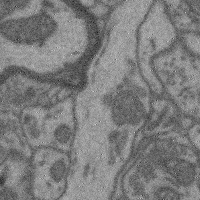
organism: Mouse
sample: Cerebral cortex